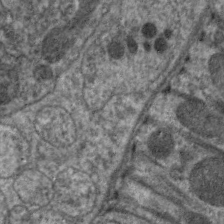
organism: C. elegans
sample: Pharynx